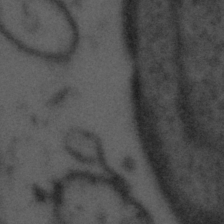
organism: Tuwongella immobilis